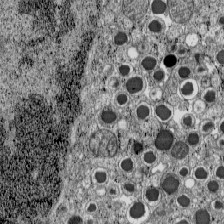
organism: C57BL Mouse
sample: Pancreatic islet